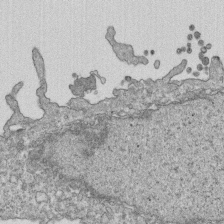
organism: Human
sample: HeLa cell HIV synapse